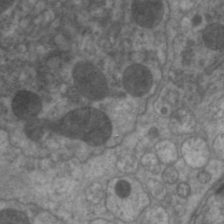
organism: C. elegans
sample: Pharynx